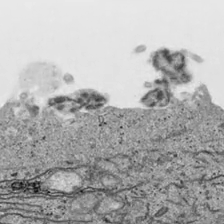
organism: Human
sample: HeLa cells